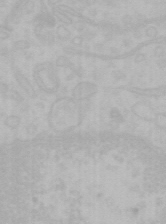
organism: Mouse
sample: Choroid plexus